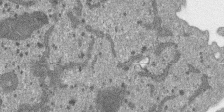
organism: Human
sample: Lung epithelial cells infected with SARS-CoV-2